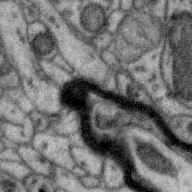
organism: Zebra finch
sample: Brain